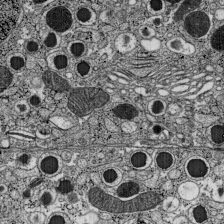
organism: C57BL Mouse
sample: Pancreatic islet